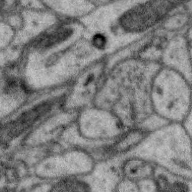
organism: Zebra finch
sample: Brain